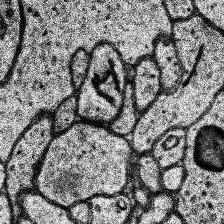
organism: Human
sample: Temporal Lobe